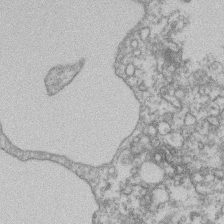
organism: Mouse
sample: T cell stromal cell synapse